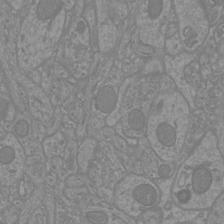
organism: Mouse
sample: Cortical neurons